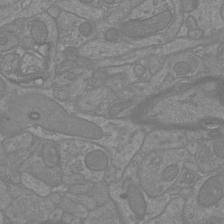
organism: Mouse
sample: Cortical neurons